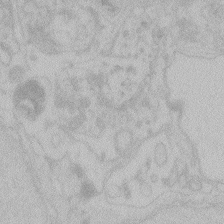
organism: Zebrafish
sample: Macrophage infected with Toxoplasma gondii